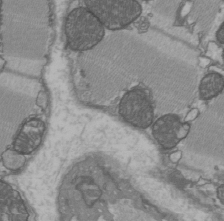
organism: C57BL Mouse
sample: Heart